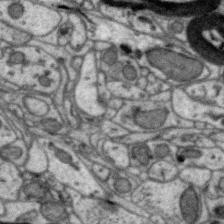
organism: Zebra finch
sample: Brain